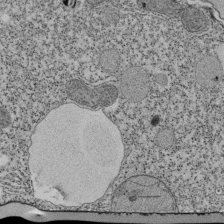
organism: Tetrahymena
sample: Cilia in tetrahymena